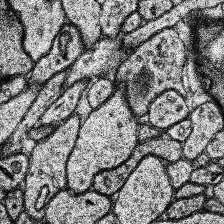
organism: Human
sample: Temporal Lobe